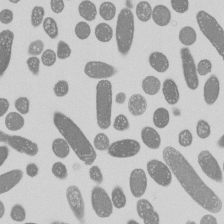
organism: E. coli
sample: Bacterial nucleoid